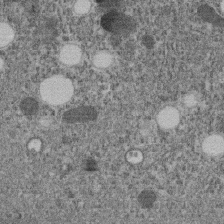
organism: C. elegans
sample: C. elegans embryo early stage